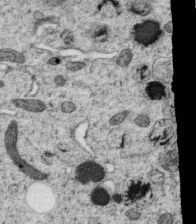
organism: C. elegans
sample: C. elegans oocyte; sperm cells